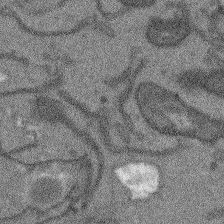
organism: Arabidopsis thaliana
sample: Root tip